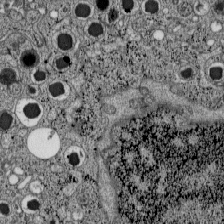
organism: C57BL Mouse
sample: Pancreatic islet